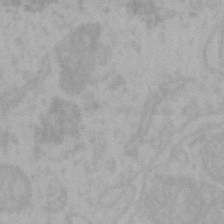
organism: Mouse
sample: Choroid plexus